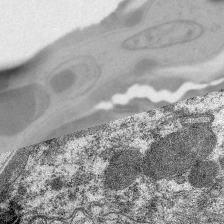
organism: C. elegans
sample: Pharynx